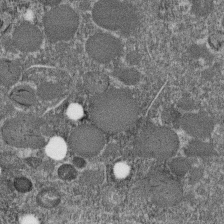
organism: C. elegans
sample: C. elegans embryo early stage